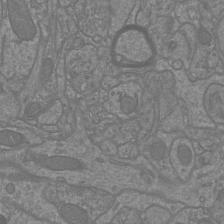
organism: Mouse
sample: Cortical neurons